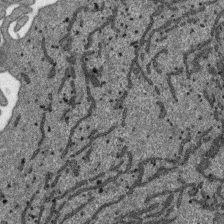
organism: Human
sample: Lung epithelial cells infected with SARS-CoV-2